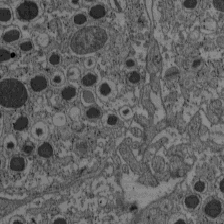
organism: C57BL Mouse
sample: Pancreatic islet